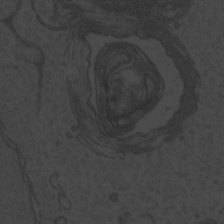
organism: Zebrafish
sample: Macrophage infected with Toxoplasma gondii